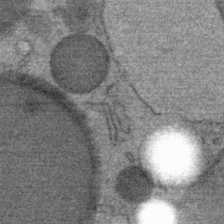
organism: Mouse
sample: Mouse Salivary gland